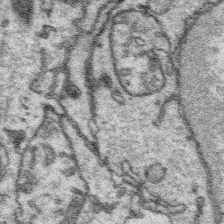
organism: Platynereis dumerilii